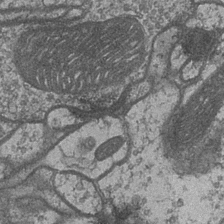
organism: Drosophila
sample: Optic medulla